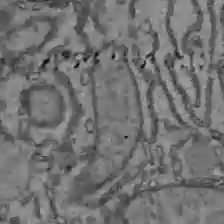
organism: C57BL Mouse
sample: Liver